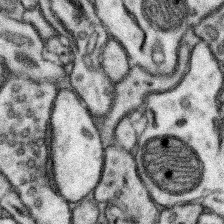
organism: Mouse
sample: Somatosensory cortex neuropil